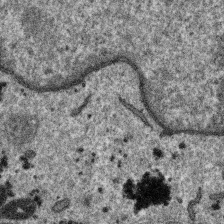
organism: Human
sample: Lung epithelial cells infected with SARS-CoV-2